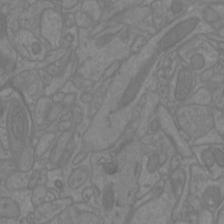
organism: Mouse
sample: Cortical neurons